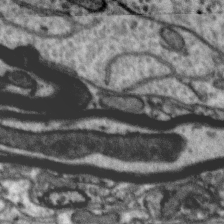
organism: Zebra finch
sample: Brain